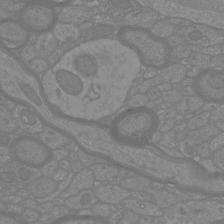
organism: Mouse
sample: Cortical neurons